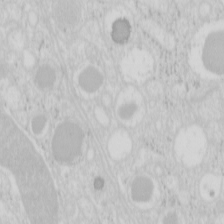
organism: Mouse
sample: Pancreas